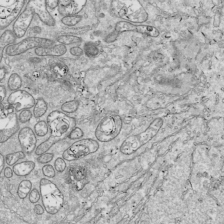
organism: Drosophila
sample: Cell division; meiosis; drosophila spermatocytes